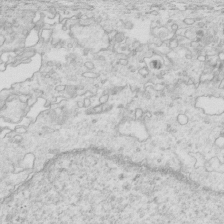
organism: Mouse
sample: Multiciliated cells